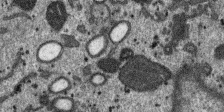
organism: Human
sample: Lung epithelial cells infected with SARS-CoV-2